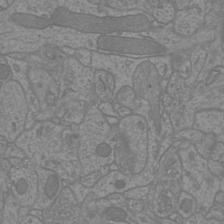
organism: Mouse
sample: Cortical neurons